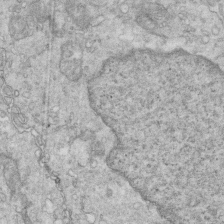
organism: Mouse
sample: Multiciliated cells